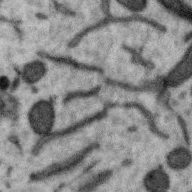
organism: Zebra finch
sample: Brain